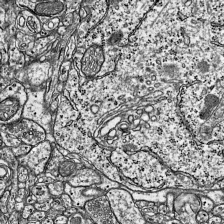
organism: Mouse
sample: Visual Cortex